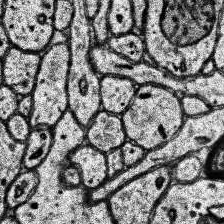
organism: Human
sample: Temporal Lobe